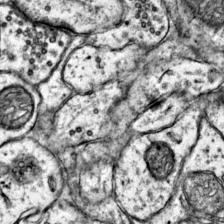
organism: Mouse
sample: Primary visual cortex